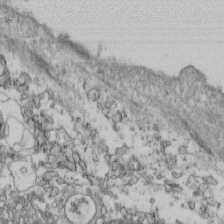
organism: Mouse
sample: Cilia; retinal pigment epithelium